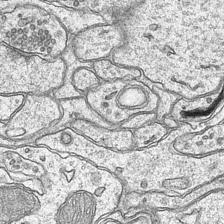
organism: Mouse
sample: CA1 Hippocampus